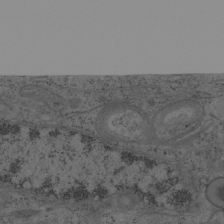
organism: Human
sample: HeLa cells